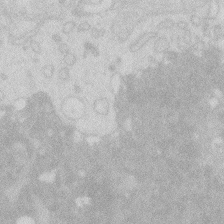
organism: Zebrafish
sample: Macrophage